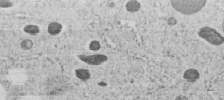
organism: C. elegans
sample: C. elegans embryo early stage